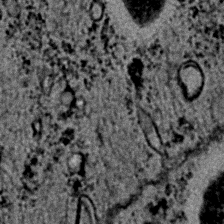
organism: C. elegans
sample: C. elegans embryo